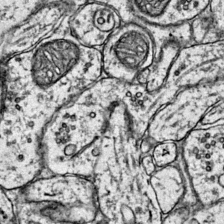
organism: Mouse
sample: Primary visual cortex